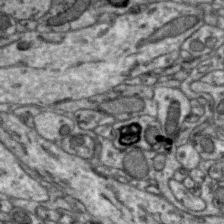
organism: Zebra finch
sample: Brain